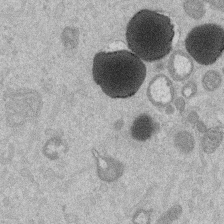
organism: Mouse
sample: Dividing mouse embryo 1 cell stage